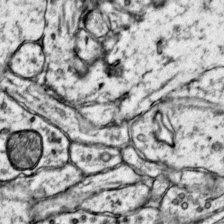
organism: Mouse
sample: Primary visual cortex